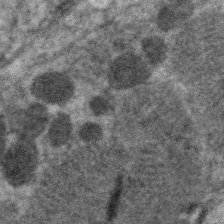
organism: C. elegans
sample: Pharynx